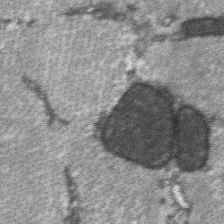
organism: C57BL Mouse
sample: Soleus